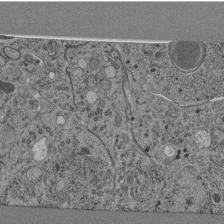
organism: C. elegans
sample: C. elegans pharynx